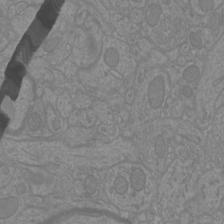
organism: Mouse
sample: Cortical neurons